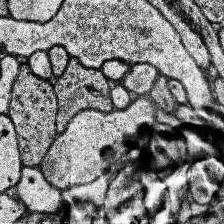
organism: Human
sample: Temporal Lobe